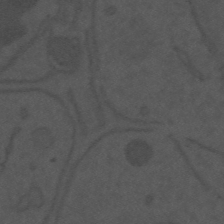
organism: Mouse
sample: Suprachiasmatic nucleus